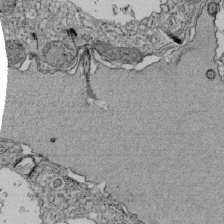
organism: Tetrahymena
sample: Cilia in tetrahymena